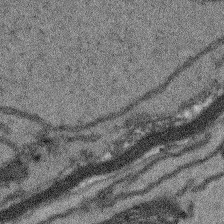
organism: Arabidopsis thaliana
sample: Root tip